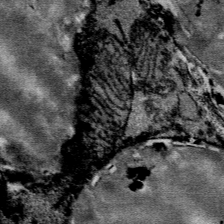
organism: Mouse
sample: Mouse Salivary gland